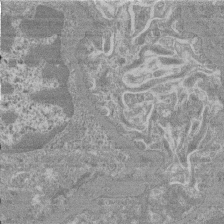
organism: Mouse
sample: Glomerulus